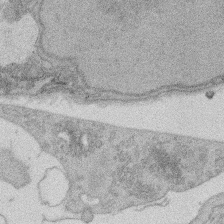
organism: Rat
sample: Salivary granule